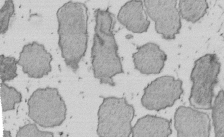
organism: E. coli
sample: Bacterial nucleoid